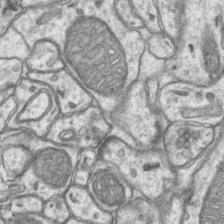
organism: Mouse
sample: CA1 Hippocampus